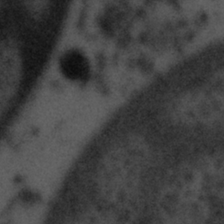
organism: Tuwongella immobilis